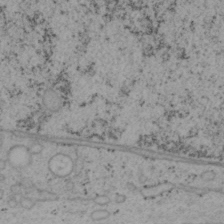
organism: Human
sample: HeLa cells